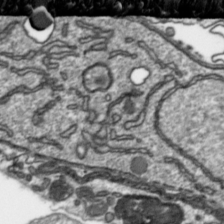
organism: Toxoplasma gondii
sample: Parasites in a vacuole inside a host cell